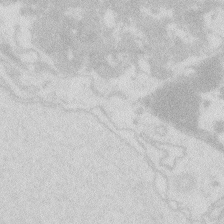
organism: Zebrafish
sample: Macrophage